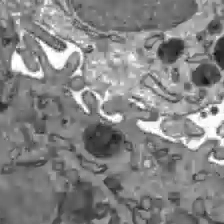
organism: C57BL Mouse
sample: Liver